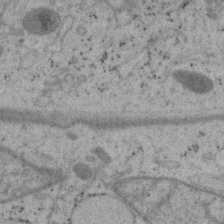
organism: Human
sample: HeLa cells